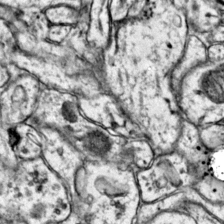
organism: Mouse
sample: Primary visual cortex